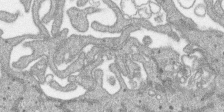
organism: Human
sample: Lung epithelial cells infected with SARS-CoV-2